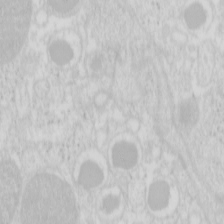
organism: Mouse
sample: Pancreas